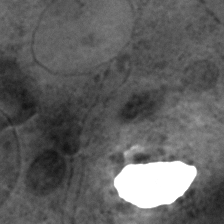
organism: C. elegans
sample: C. elegans embryo